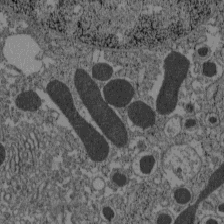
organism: C57BL Mouse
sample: Pancreatic islet